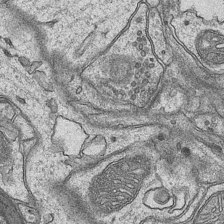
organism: Mouse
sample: CA1 Hippocampus